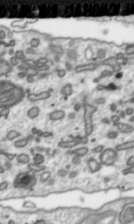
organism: Toxoplasma gondii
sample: Parasites in a vacuole inside a host cell